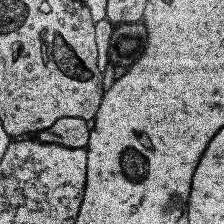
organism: Human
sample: Temporal Lobe